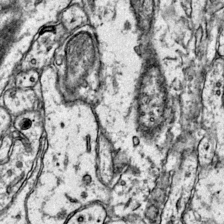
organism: Mouse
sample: Primary visual cortex